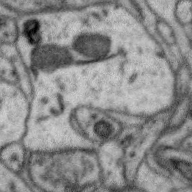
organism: Zebra finch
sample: Brain